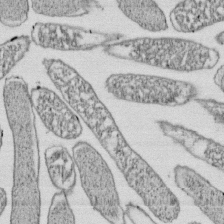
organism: E. coli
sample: Bacterial nucleoid